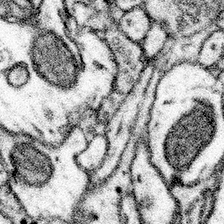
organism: Mouse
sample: Somatosensory cortex neuropil